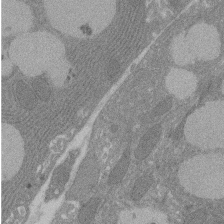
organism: Rat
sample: Salivary granule